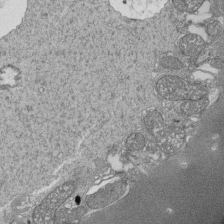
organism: Tetrahymena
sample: Cilia in tetrahymena